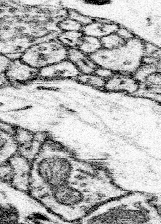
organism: Mouse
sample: Somatosensory cortex neuropil